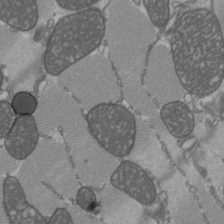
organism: C57BL Mouse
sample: Heart